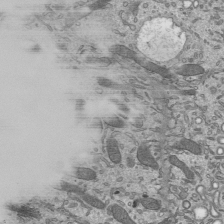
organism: Mouse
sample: Mouse epididymis efferent ductule cilia